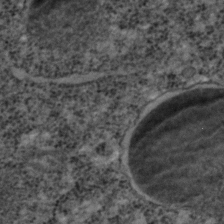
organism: C. elegans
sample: C. elegans embryo